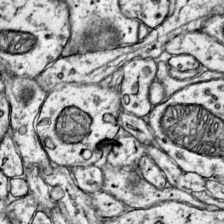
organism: Mouse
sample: Primary visual cortex